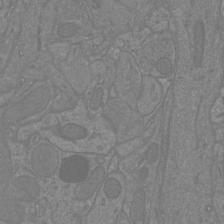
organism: Mouse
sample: Cortical neurons